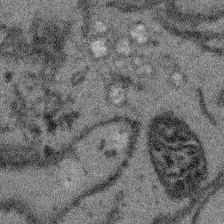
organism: Arabidopsis thaliana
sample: Root tip